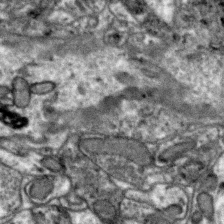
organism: Zebra finch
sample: Brain